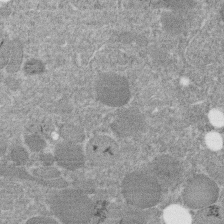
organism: C. elegans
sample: C. elegans embryo early stage